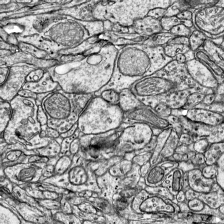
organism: Mouse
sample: Visual Cortex